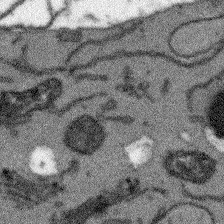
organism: Arabidopsis thaliana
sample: Root tip